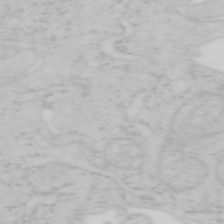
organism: Mouse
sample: OT-I killer T cells with ID8 ovarian cancer cells